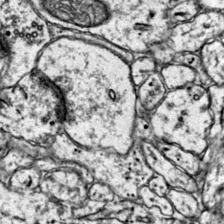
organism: Mouse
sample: Primary visual cortex